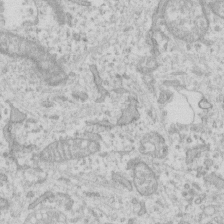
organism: Human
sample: Fibroblast cells